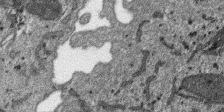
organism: Human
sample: Lung epithelial cells infected with SARS-CoV-2